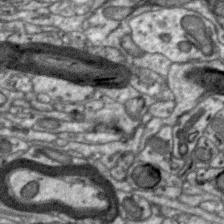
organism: Zebra finch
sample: Brain